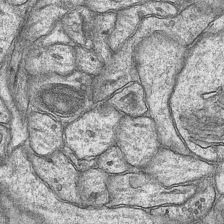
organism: Mouse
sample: CA1 Hippocampus